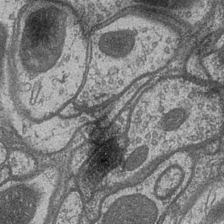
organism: Drosophila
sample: Optic medulla